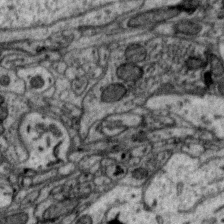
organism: Zebra finch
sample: Brain